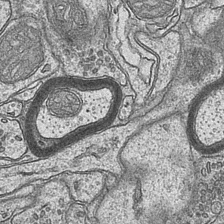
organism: Mouse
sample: CA1 Hippocampus